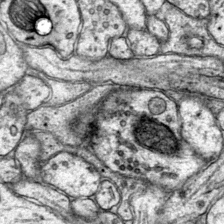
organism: Mouse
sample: Primary visual cortex